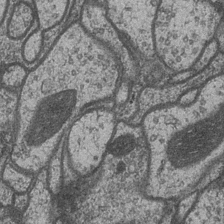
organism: Drosophila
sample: Optic medulla